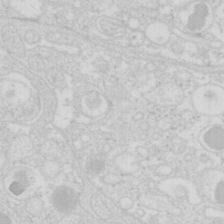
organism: Mouse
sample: Pancreas